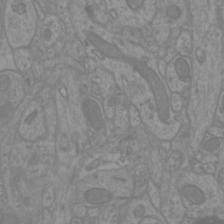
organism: Mouse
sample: Cortical neurons